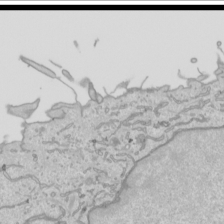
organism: Human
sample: Mitochondria in HCT116 cells